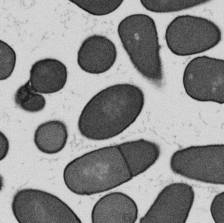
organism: B. subtilis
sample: Bacterial spore